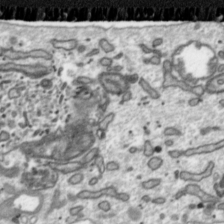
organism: Toxoplasma gondii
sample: Parasites in a vacuole inside a host cell